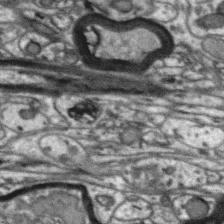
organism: Zebra finch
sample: Brain